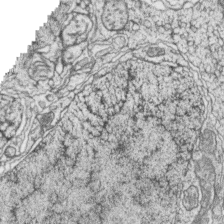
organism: Zebrafish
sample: synaptic ribbons in rod cells and cone cells